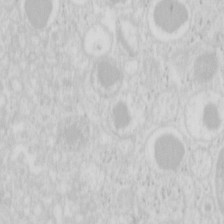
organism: Mouse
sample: Pancreas